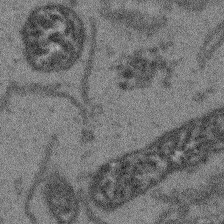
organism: Arabidopsis thaliana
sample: Root tip